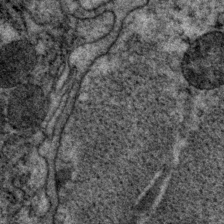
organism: P. pacificus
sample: Pharynx